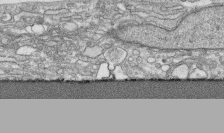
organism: Human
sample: CRL-1474